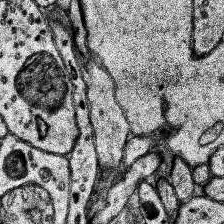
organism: Human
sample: Temporal Lobe